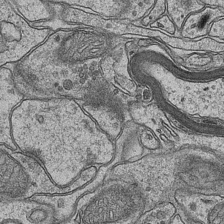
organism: Mouse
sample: CA1 Hippocampus